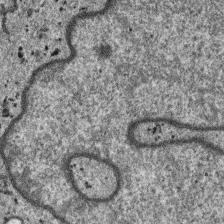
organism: Human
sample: Lung epithelial cells infected with SARS-CoV-2